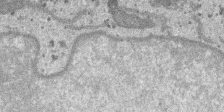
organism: Human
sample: Lung epithelial cells infected with SARS-CoV-2